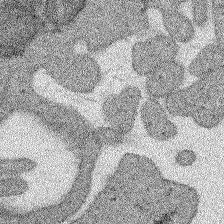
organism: Human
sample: HeLa cells